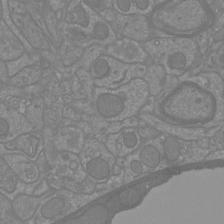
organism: Mouse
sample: Cortical neurons